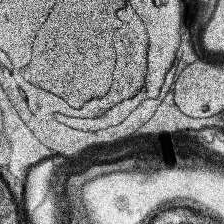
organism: Human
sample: Temporal Lobe